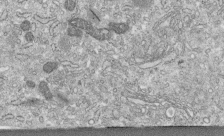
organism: Human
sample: Centriole in fibroblast cells